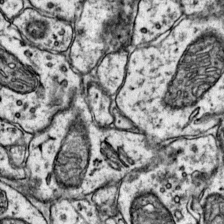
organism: Mouse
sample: Primary visual cortex